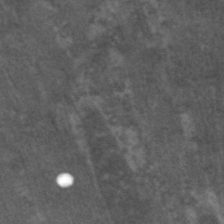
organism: C. elegans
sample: Pharynx